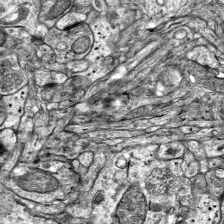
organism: Mouse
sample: Visual Cortex